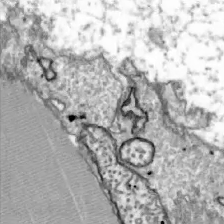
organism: Zebrafish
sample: Actinotrichia fibers